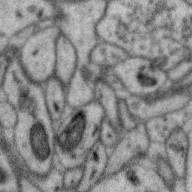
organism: Zebra finch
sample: Brain